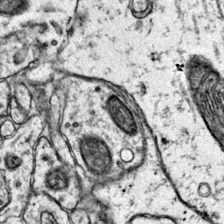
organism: Mouse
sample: Primary visual cortex